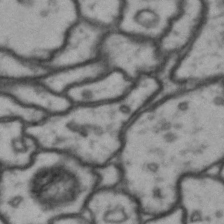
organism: Drosophila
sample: Brain